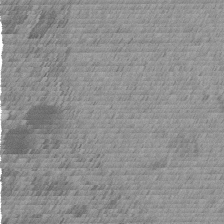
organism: C. elegans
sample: C. elegans embryo early stage